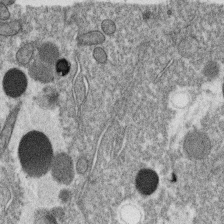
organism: C. elegans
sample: C. elegans oocyte; sperm cells